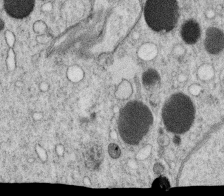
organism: C. elegans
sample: C. elegans oocyte; sperm cells